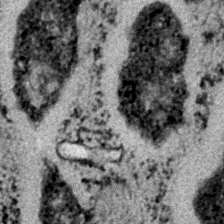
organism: C. elegans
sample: C. elegans embryo